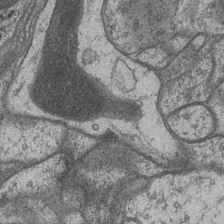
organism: Drosophila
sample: Optic medulla